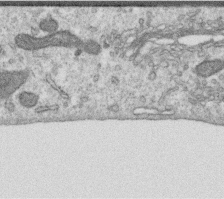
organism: Human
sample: Centriole in RPE cells